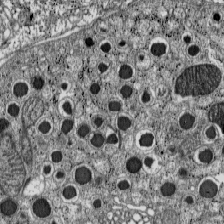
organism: C57BL Mouse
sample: Pancreatic islet